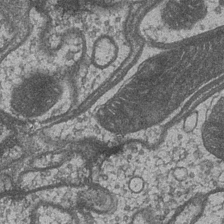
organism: Drosophila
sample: Optic medulla